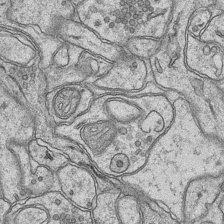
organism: Mouse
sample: CA1 Hippocampus